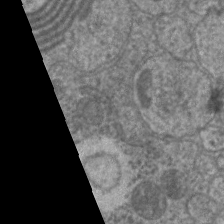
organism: C. elegans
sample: Pharynx